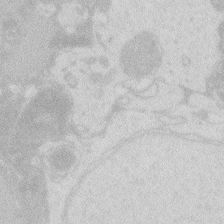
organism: Zebrafish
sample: Macrophage